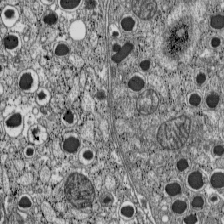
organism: C57BL Mouse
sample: Pancreatic islet